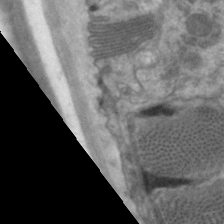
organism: C. elegans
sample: Pharynx